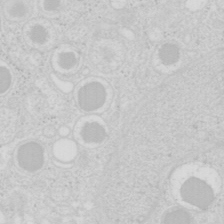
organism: Mouse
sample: Pancreas